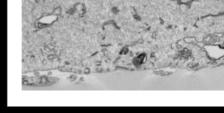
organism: Human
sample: Mitochondria in HCT116 cells